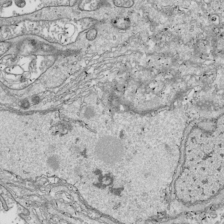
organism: Drosophila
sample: Cell division; meiosis; drosophila spermatocytes